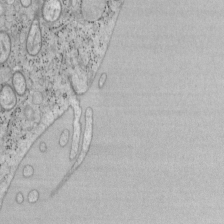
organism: Mouse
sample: OT-I killer T cells with ID8 ovarian cancer cells